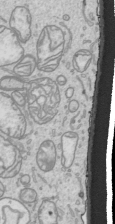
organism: Human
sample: Mitochondria in HCT116 cells